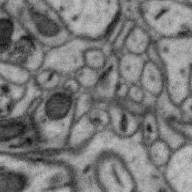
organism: Zebra finch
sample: Brain